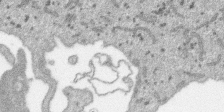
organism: Human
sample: Lung epithelial cells infected with SARS-CoV-2